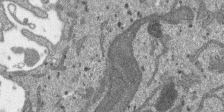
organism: Human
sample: Lung epithelial cells infected with SARS-CoV-2